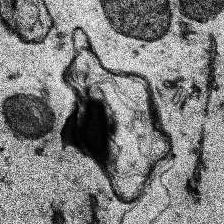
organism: Human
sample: Temporal Lobe